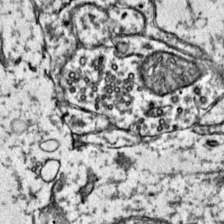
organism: Mouse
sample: Primary visual cortex